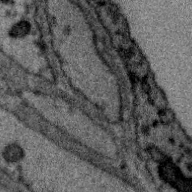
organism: Zebra finch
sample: Brain